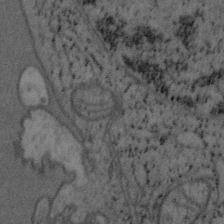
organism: Human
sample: HeLa cells